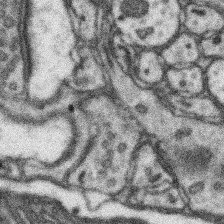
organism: Mouse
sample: Somatosensory cortex neuropil